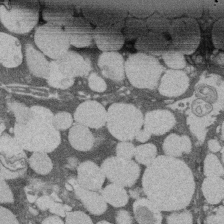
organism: Rat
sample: Salivary granule